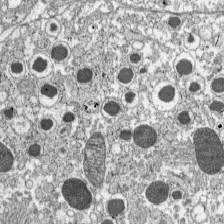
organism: C57BL Mouse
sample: Pancreatic islet